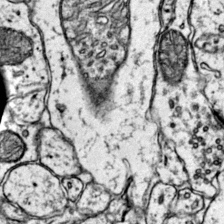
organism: Mouse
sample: Primary visual cortex